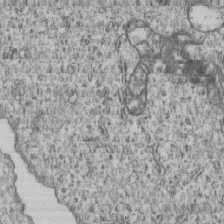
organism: Human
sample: MDA-MB-231 cells